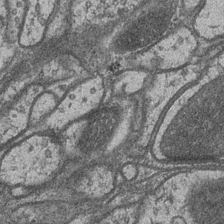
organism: Drosophila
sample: Optic medulla